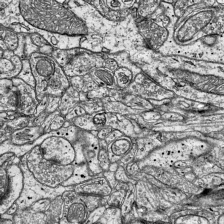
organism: Mouse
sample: Visual Cortex